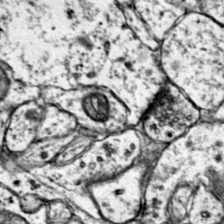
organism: Mouse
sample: Primary visual cortex